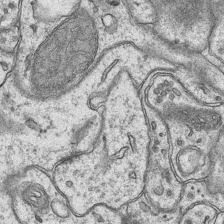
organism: Mouse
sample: CA1 Hippocampus